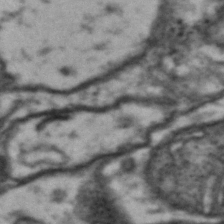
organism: Drosophila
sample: Brain